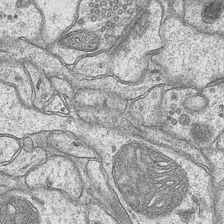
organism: Mouse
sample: CA1 Hippocampus